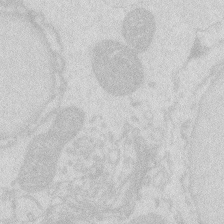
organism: Zebrafish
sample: Macrophage